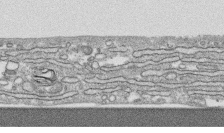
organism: Human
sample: CRL-1474